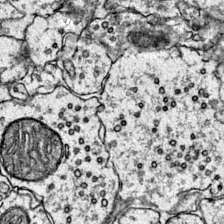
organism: Mouse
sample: Primary visual cortex